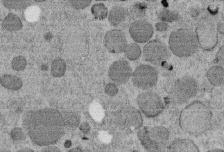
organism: C. elegans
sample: C. elegans embryo early stage